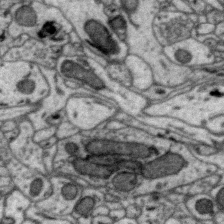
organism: Zebra finch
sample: Brain